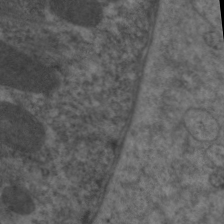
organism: C. elegans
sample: Pharynx